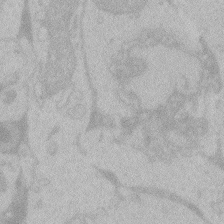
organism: Zebrafish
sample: Macrophage infected with Toxoplasma gondii